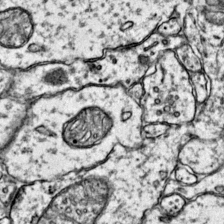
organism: Mouse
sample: Primary visual cortex